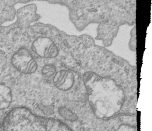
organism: Human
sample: MDA-MB-231 cells